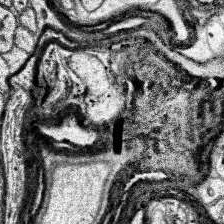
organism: Human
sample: Temporal Lobe